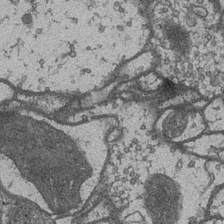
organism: Drosophila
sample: Optic medulla